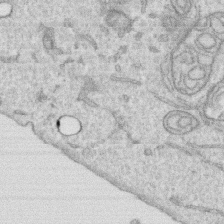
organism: Human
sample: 1205lu cells